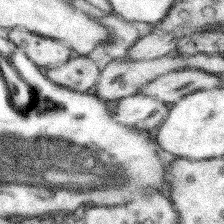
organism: Mouse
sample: Somatosensory cortex neuropil